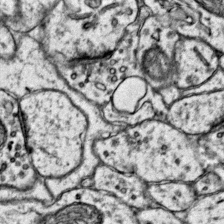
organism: Mouse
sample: Primary visual cortex